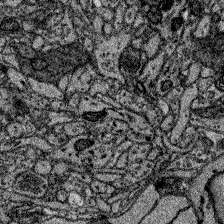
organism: Zebrafish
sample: Larval olfactory bulb